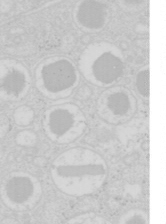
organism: Mouse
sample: Pancreas